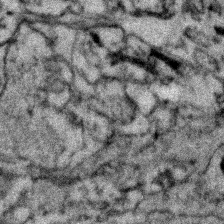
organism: Zebrafish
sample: Zebrafish embryo